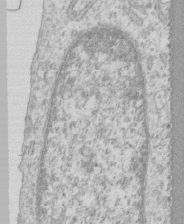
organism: Human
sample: CRL-1474